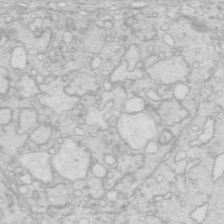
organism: Mouse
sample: Multiciliated cells